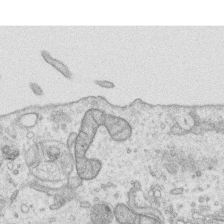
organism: Human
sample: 1205lu cells